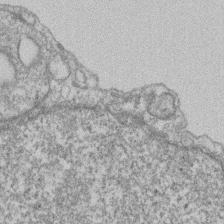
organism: Mouse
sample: T cell stromal cell synapse